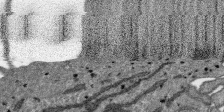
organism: Human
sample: Lung epithelial cells, uninfected (mock) control